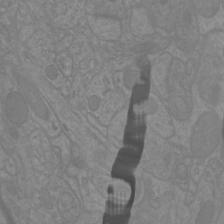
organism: Mouse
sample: Cortical neurons